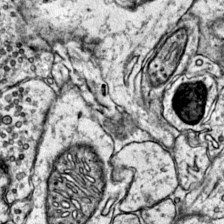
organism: Mouse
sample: Primary visual cortex